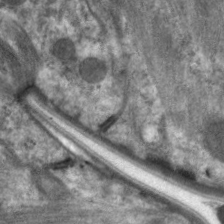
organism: C. elegans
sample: Pharynx